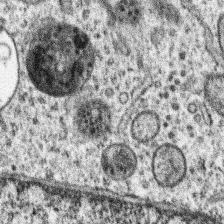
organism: Human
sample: HeLa cells